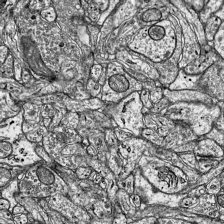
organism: Mouse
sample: Visual Cortex